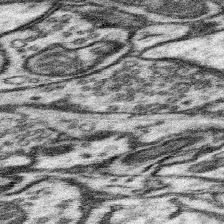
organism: Mouse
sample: Somatosensory cortex neuropil